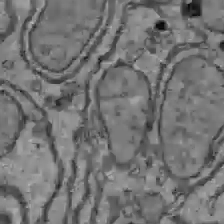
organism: C57BL Mouse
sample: Liver